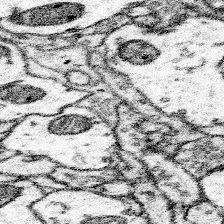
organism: Mouse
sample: Somatosensory cortex neuropil